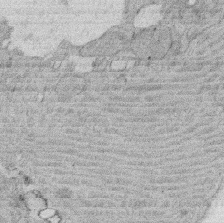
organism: Rat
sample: Salivary granule